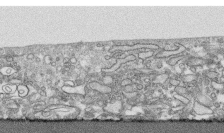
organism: Human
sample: CRL-1474